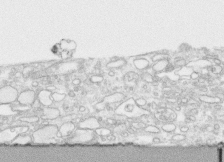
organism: Human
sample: CRL-1474